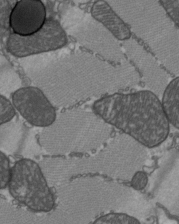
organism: C57BL Mouse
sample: Heart